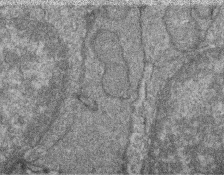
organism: Zebrafish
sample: Cilia; retinal pigment epithelium